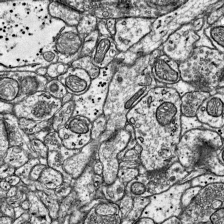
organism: Mouse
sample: Visual Cortex